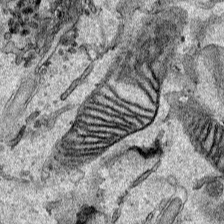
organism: Human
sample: Mitochondria in HCT116 cells